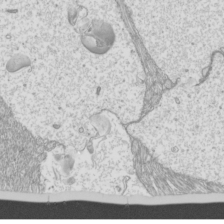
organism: Mouse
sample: Cilia; mouse epididymis